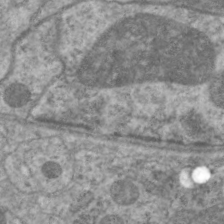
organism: C. elegans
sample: Pharynx